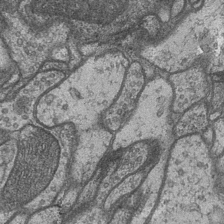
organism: Drosophila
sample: Optic medulla